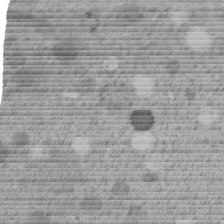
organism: C. elegans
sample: C. elegans embryo early stage